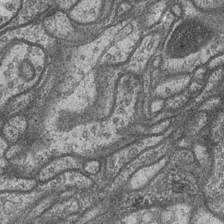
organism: Drosophila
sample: Optic medulla